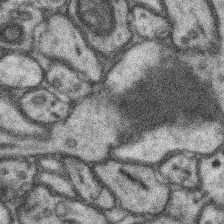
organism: Mouse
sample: Somatosensory cortex neuropil